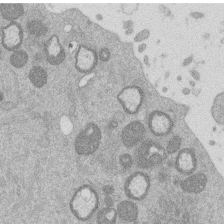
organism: Mouse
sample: Dividing mouse embryo 1 cell stage